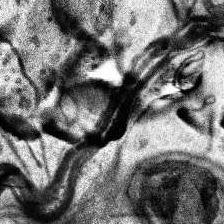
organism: Human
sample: Temporal Lobe